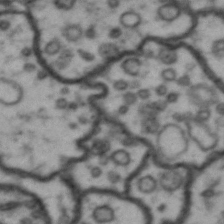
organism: Drosophila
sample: Brain